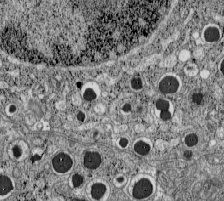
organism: C57BL Mouse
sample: Pancreatic islet